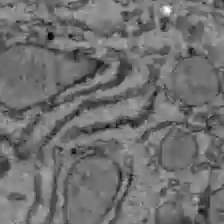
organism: C57BL Mouse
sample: Liver